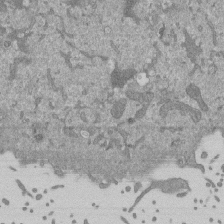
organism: Mouse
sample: ED-1 cell nuclei; centrioles